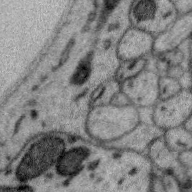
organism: Zebra finch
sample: Brain